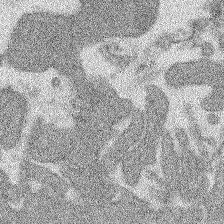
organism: Human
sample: HeLa cells